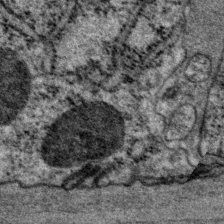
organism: P. pacificus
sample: Pharynx